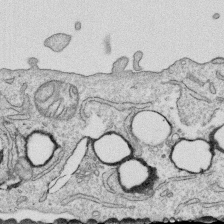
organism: Human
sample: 1205lu cells